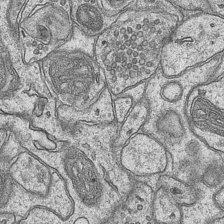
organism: Mouse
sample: CA1 Hippocampus